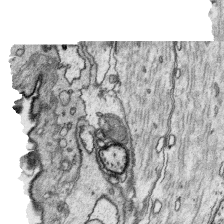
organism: Platynereis dumerilii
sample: Parapodia